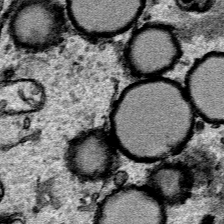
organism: Human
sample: Mitochondria in HCT116 cells